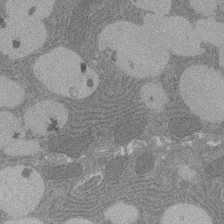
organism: Rat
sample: Salivary granule